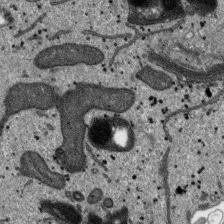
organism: Human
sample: Lung epithelial cells, uninfected (mock) control